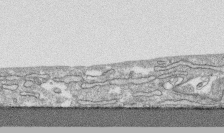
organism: Human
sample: CRL-1474